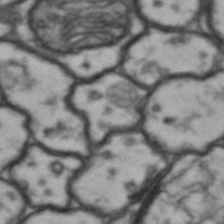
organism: Drosophila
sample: Brain